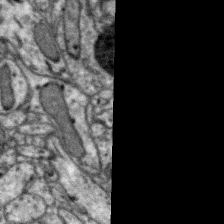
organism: Zebra finch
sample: Brain